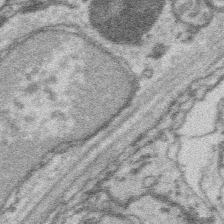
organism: Platynereis dumerilii